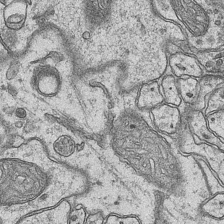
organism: Mouse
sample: CA1 Hippocampus